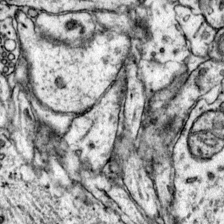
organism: Mouse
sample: Primary visual cortex